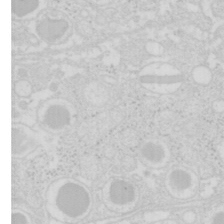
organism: Mouse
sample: Pancreas